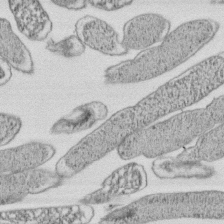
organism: E. coli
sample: Bacterial nucleoid